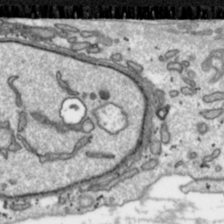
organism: Toxoplasma gondii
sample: Parasites in a vacuole inside a host cell